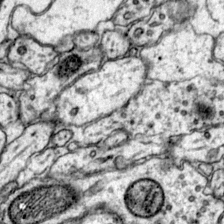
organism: Mouse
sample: Primary visual cortex